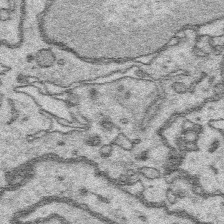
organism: Platynereis dumerilii